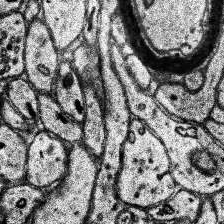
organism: Human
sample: Temporal Lobe